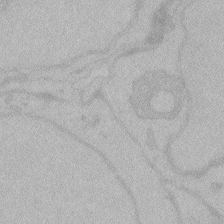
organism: Zebrafish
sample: Macrophage infected with Toxoplasma gondii